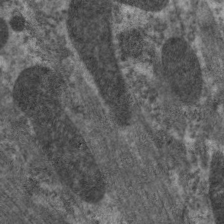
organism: C. elegans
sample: Pharynx